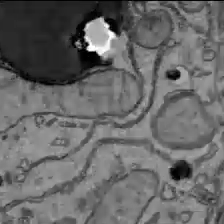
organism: C57BL Mouse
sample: Liver